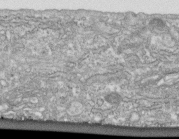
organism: Human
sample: Centriole in fibroblast cells